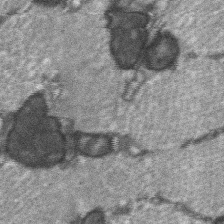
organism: C57BL Mouse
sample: Soleus